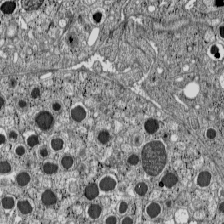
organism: C57BL Mouse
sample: Pancreatic islet